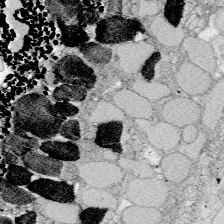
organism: Zebrafish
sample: Whole-Brain